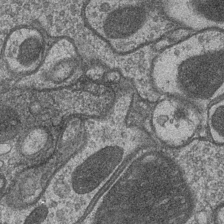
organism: Drosophila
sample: Optic medulla